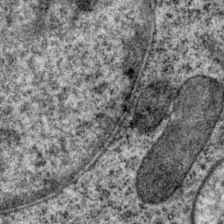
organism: P. pacificus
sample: Pharynx